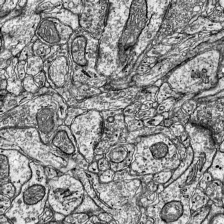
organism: Mouse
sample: Visual Cortex